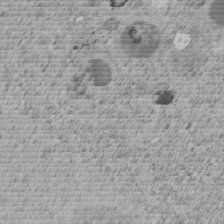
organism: C. elegans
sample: C. elegans embryo early stage